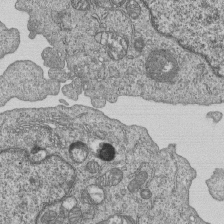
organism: Human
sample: MDA-MB-231 cells